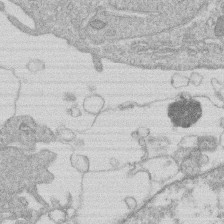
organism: Human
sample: Macrophage cells